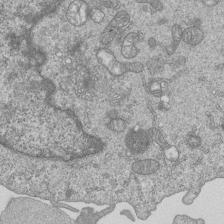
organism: Human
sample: MDA-MB-231 cells